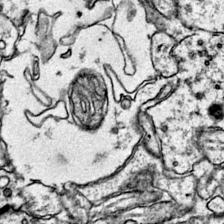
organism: Mouse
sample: Primary visual cortex